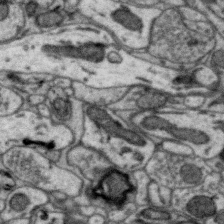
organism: Zebra finch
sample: Brain